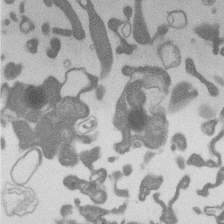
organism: Mouse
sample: Dividing mouse embryo 1 cell stage